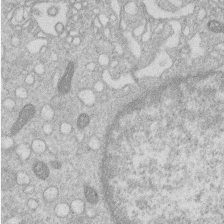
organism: Human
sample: Macrophage cells